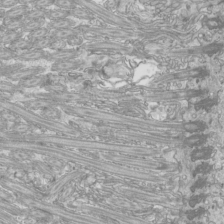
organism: Mouse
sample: Cilia; mouse epididymis